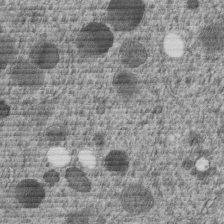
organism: C. elegans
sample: C. elegans embryo early stage